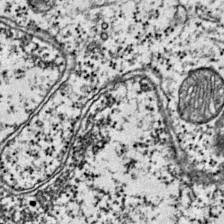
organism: Mouse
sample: Primary visual cortex